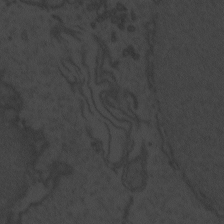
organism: Zebrafish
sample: Macrophage infected with Toxoplasma gondii